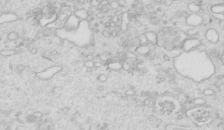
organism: Mouse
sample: Multiciliated cells